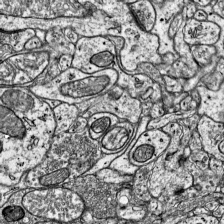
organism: Mouse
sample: Visual Cortex